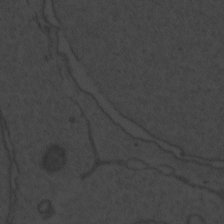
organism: Zebrafish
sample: Macrophage infected with Toxoplasma gondii